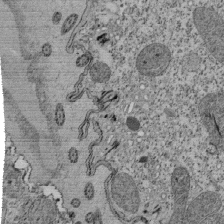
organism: Tetrahymena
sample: Cilia in tetrahymena